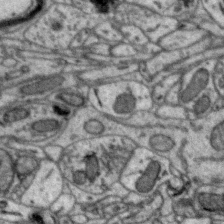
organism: Zebra finch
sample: Brain